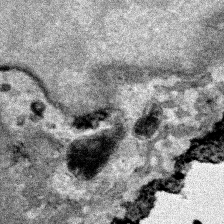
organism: Human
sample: Mitochondria in HCT116 cells